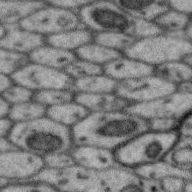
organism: Zebra finch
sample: Brain